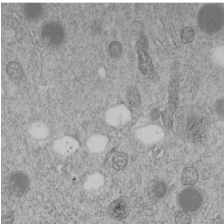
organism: C. elegans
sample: C. elegans embryo early stage